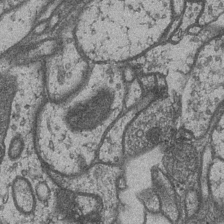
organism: Drosophila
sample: Optic medulla